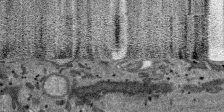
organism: Human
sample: Lung epithelial cells, uninfected (mock) control